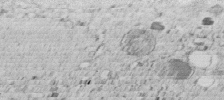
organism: C. elegans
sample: C. elegans embryo early stage